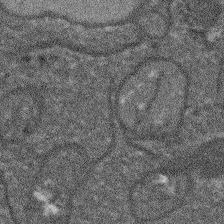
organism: Arabidopsis thaliana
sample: Root tip